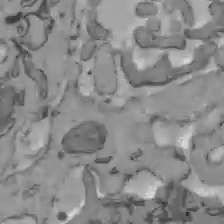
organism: C57BL Mouse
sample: Liver